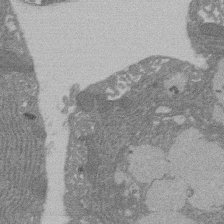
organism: Rat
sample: Salivary granule